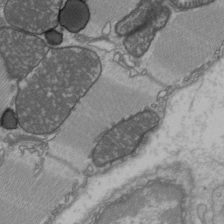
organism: C57BL Mouse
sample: Heart